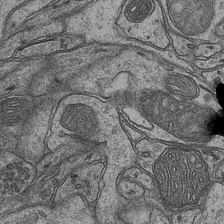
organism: Mouse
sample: CA1 Hippocampus